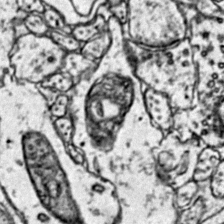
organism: Mouse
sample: Primary visual cortex